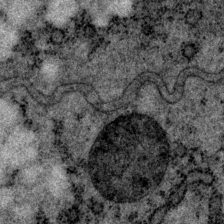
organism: P. pacificus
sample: Pharynx